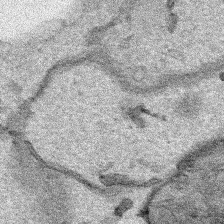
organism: Human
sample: Mitochondria in HCT116 cells